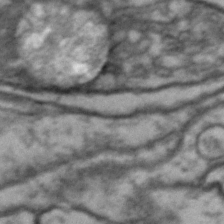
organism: Drosophila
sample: Brain